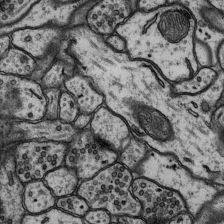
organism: Rat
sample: Hippocampus